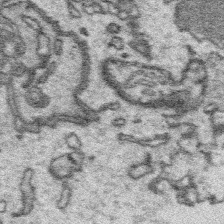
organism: Platynereis dumerilii